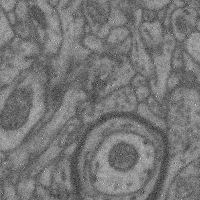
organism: Mouse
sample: Cerebral cortex